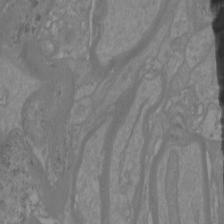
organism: Mouse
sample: Cortical neurons